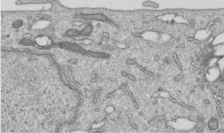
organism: Human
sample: Centriole in RPE cells